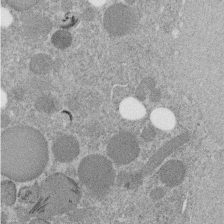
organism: C. elegans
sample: C. elegans embryo early stage